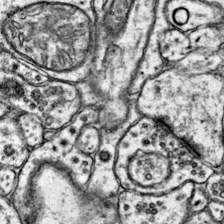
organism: Mouse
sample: Primary visual cortex